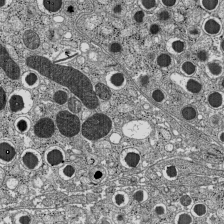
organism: C57BL Mouse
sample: Pancreatic islet